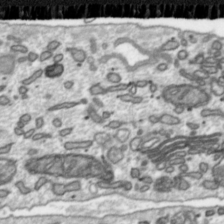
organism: Toxoplasma gondii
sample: Parasites in a vacuole inside a host cell